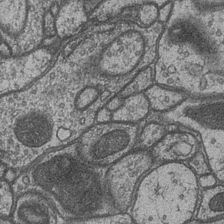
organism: Drosophila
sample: Optic medulla